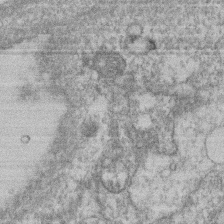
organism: Mouse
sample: T cell stromal cell synapse